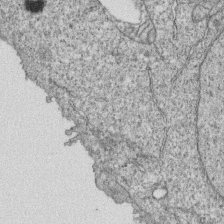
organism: Human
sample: HeLa cell HIV synapse